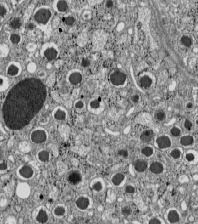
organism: C57BL Mouse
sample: Pancreatic islet